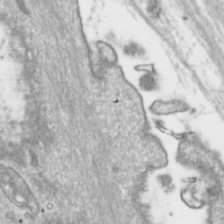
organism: Toxoplasma gondii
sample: Parasites in a vacuole inside a host cell